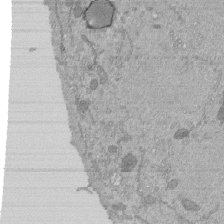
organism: Mouse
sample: ED-1 cell nuclei; centrioles